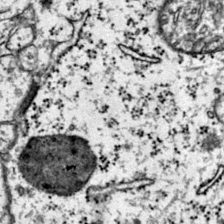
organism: Mouse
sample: Primary visual cortex